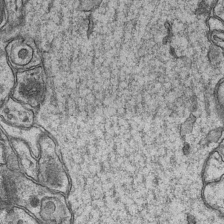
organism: Mouse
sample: CA1 Hippocampus